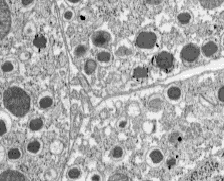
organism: C57BL Mouse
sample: Pancreatic islet